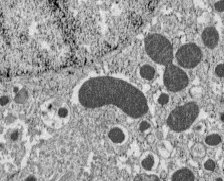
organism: C57BL Mouse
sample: Pancreatic islet